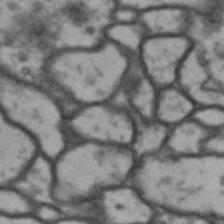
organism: Drosophila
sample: Brain